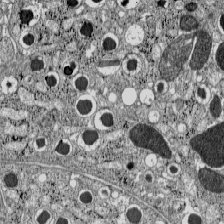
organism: C57BL Mouse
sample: Pancreatic islet